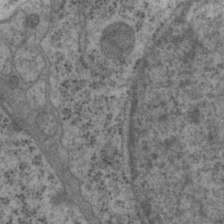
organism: P. pacificus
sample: Pharynx